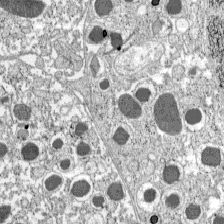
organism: C57BL Mouse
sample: Pancreatic islet